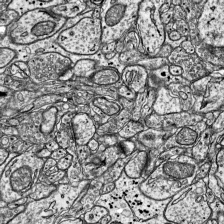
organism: Mouse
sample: Visual Cortex